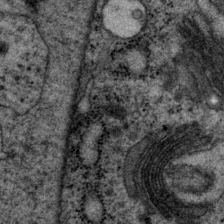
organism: P. pacificus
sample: Pharynx